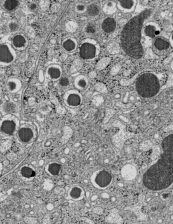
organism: C57BL Mouse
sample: Pancreatic islet